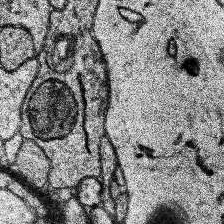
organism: Human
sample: Temporal Lobe